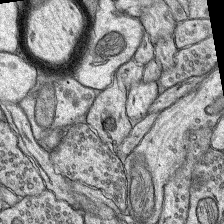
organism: Rat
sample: Hippocampus